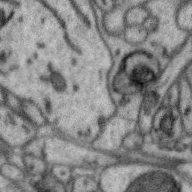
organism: Zebra finch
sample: Brain